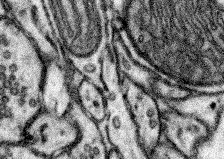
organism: Mouse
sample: Somatosensory cortex neuropil